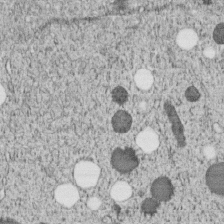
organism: C. elegans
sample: C. elegans embryo early stage